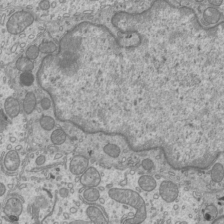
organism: Mouse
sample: Cilia; mouse epididymis